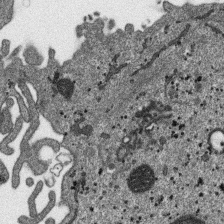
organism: Human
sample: Lung epithelial cells infected with SARS-CoV-2